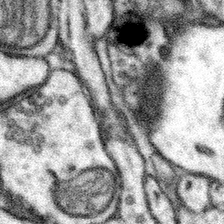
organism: Mouse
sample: Somatosensory cortex neuropil